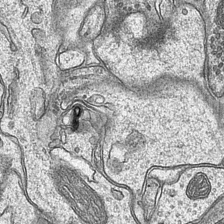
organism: Mouse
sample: CA1 Hippocampus